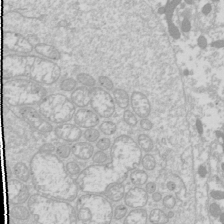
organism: Drosophila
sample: Cell division; meiosis; drosophila spermatocytes